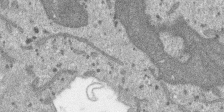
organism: Human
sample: Lung epithelial cells infected with SARS-CoV-2